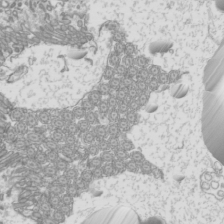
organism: Mouse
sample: Cilia; mouse epididymis